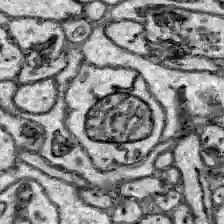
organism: Zebrafish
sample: Brain